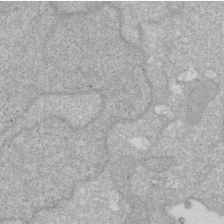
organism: Human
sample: HIV infected U937 cells